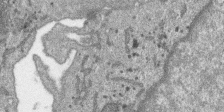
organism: Human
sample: Lung epithelial cells infected with SARS-CoV-2